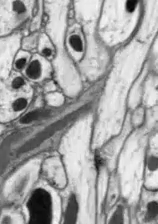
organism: Drosophila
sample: Optic lobe